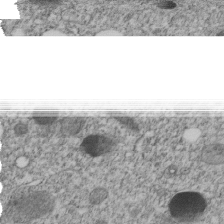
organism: C. elegans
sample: C. elegans embryo early stage